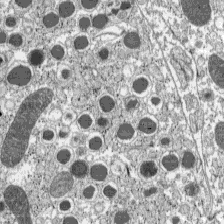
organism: C57BL Mouse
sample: Pancreatic islet